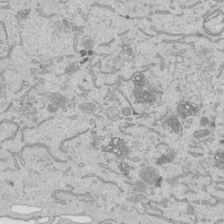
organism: Human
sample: Mitochondria in HCT116 cells